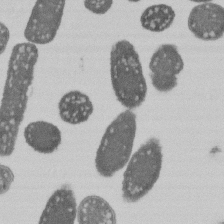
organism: E. coli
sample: Bacterial nucleoid